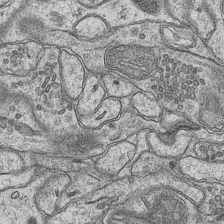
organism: Mouse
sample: CA1 Hippocampus